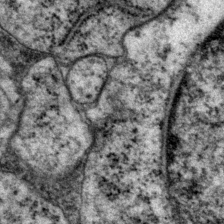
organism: P. pacificus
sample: Pharynx